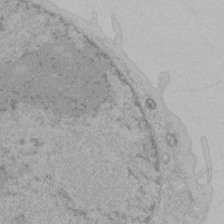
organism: Human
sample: Mitochondria in HCT116 cells